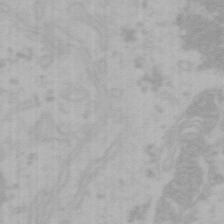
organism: Mouse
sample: Choroid plexus